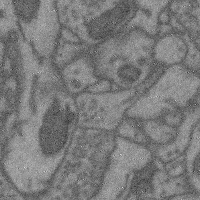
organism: Mouse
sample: Cerebral cortex